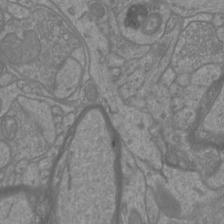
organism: Mouse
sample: Cortical neurons